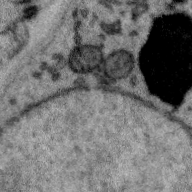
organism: Zebra finch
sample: Brain